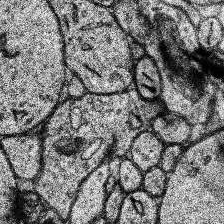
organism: Human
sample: Temporal Lobe